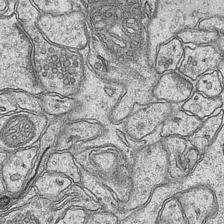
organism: Mouse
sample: CA1 Hippocampus